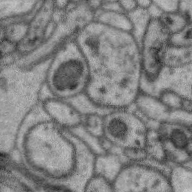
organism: Zebra finch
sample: Brain